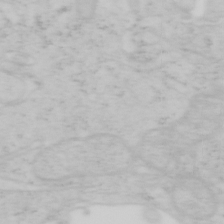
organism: Mouse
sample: OT-I killer T cells with ID8 ovarian cancer cells